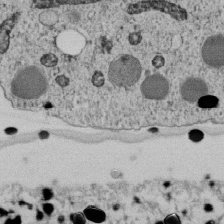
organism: C. elegans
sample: C. elegans embryo early stage